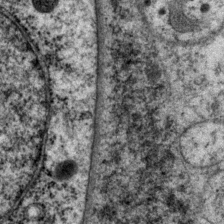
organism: P. pacificus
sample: Pharynx